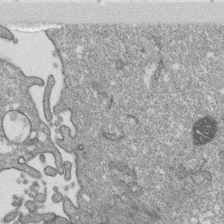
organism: African green monkey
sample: Vero E6 cells infected with SARS-CoV-2